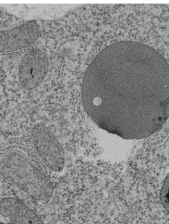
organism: Tetrahymena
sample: Cilia in tetrahymena